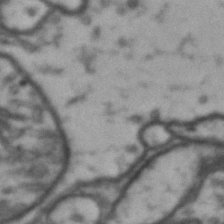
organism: Drosophila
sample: Brain